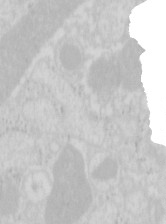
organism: Mouse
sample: Pancreas